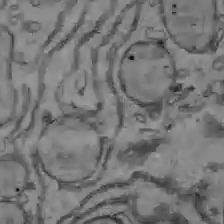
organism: C57BL Mouse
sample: Liver